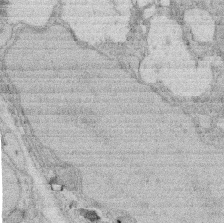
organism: Rat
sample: Salivary granule